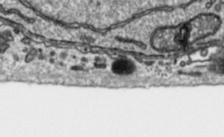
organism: Toxoplasma gondii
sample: Parasites in a vacuole inside a host cell